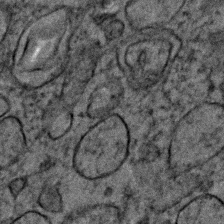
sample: Trachea